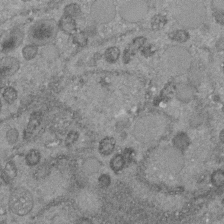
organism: C. elegans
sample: C. elegans embryo early stage